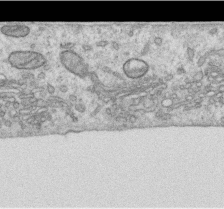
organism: Human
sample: Centriole in RPE cells